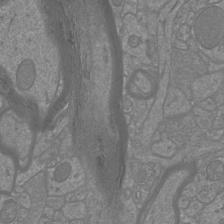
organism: Mouse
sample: Cortical neurons